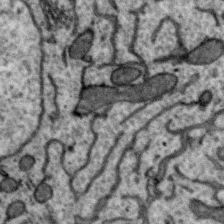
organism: Zebra finch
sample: Brain